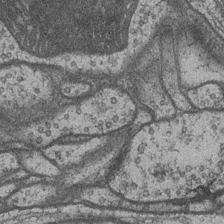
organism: Drosophila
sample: Optic medulla